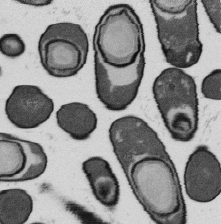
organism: B. subtilis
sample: Bacterial spore